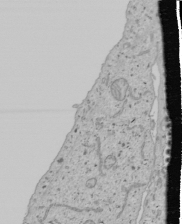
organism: Human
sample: Mitochondria in U2OS cells